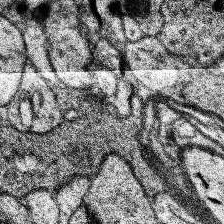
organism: Human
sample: Temporal Lobe